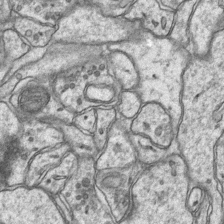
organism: Mouse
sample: CA1 Hippocampus